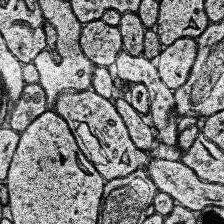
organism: Human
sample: Temporal Lobe